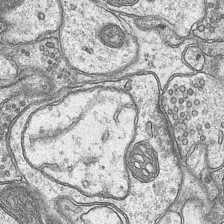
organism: Mouse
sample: CA1 Hippocampus